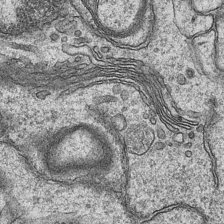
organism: Mouse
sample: CA1 Hippocampus